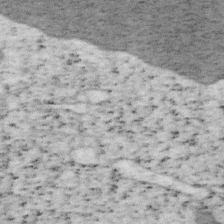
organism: Mouse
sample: OT-I killer T cells with ID8 ovarian cancer cells